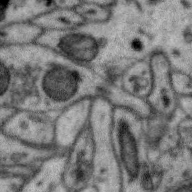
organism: Zebra finch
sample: Brain